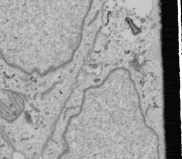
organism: Human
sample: Mitochondria in U2OS cells